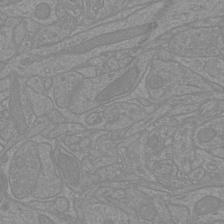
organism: Mouse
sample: Cortical neurons